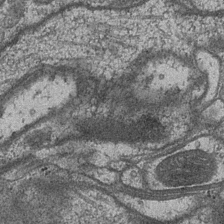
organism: Drosophila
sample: Optic medulla